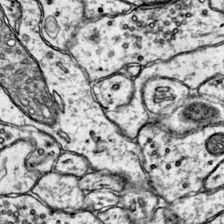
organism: Mouse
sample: Primary visual cortex